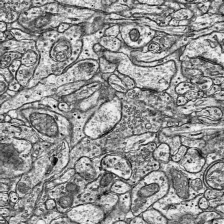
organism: Mouse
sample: Visual Cortex